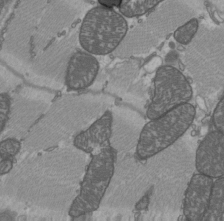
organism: C57BL Mouse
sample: Heart